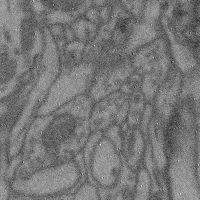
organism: Mouse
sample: Cerebral cortex